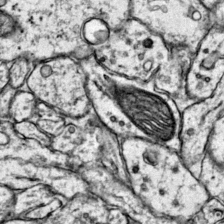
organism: Mouse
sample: Primary visual cortex